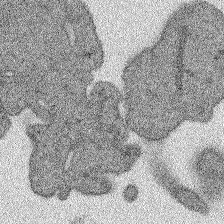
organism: Human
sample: HeLa cells